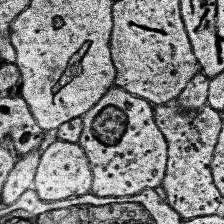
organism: Human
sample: Temporal Lobe